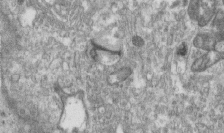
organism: Human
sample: Centriole in RPE cells